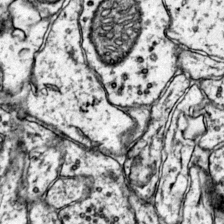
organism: Mouse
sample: Primary visual cortex